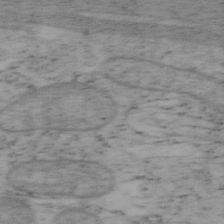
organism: Mouse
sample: OT-I killer T cells with ID8 ovarian cancer cells